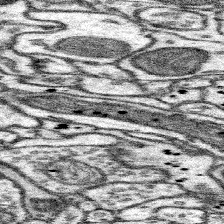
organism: Mouse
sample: Somatosensory cortex neuropil